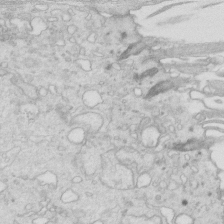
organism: Mouse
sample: Multiciliated cells